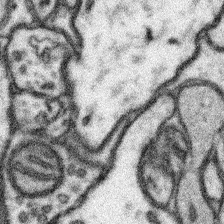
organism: Mouse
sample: Somatosensory cortex neuropil